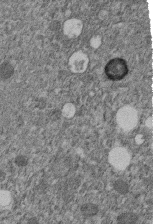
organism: C. elegans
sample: C. elegans embryo early stage